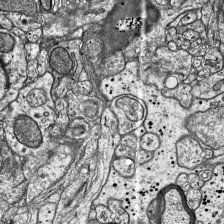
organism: Mouse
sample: Visual Cortex